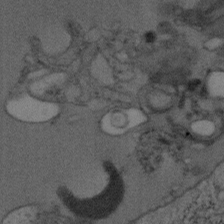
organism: Human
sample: HeLa cells